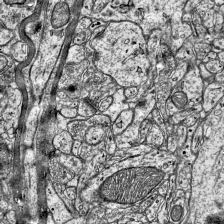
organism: Mouse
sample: Visual Cortex